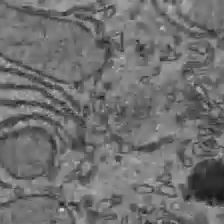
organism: C57BL Mouse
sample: Liver